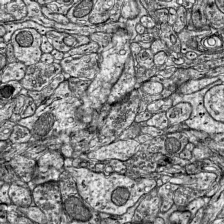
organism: Mouse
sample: Visual Cortex